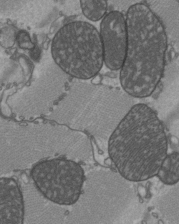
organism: C57BL Mouse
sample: Heart